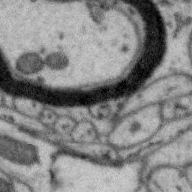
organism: Zebra finch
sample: Brain